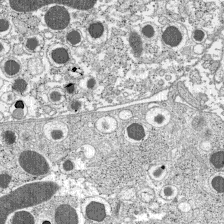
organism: C57BL Mouse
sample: Pancreatic islet